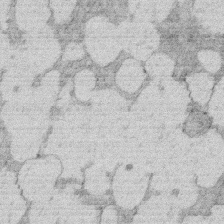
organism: Rat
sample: Salivary granule